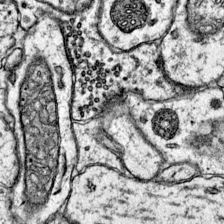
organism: Mouse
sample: Primary visual cortex